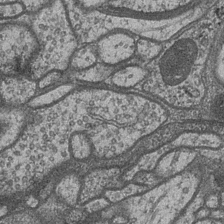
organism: Drosophila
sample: Optic medulla